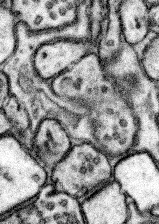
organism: Mouse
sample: Somatosensory cortex neuropil